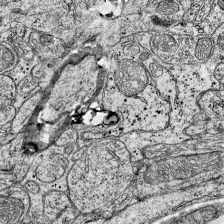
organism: Mouse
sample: Visual Cortex